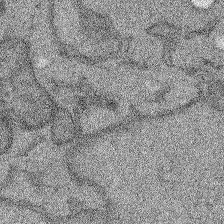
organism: Human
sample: HeLa cells